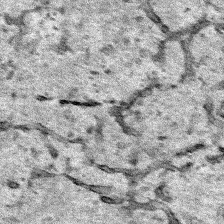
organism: Human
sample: Mitochondria in HCT116 cells